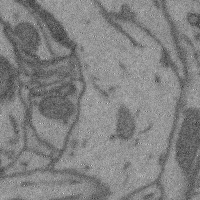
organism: Mouse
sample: Cerebral cortex